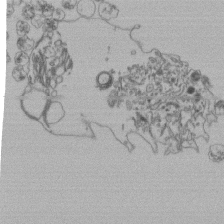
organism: Human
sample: Retinal organoid Rod and Cone cells